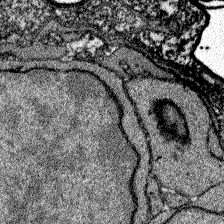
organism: Zebrafish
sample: Larval olfactory bulb